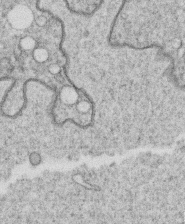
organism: C. elegans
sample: C. elegans oocyte; sperm cells